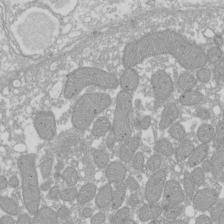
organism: Xenopus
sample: Cilia; centrioles in frog embryo cells